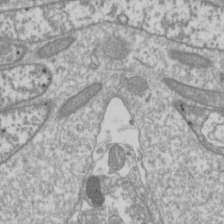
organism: Drosophila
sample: Cell division; meiosis; drosophila spermatocytes